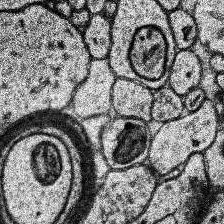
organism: Human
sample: Temporal Lobe